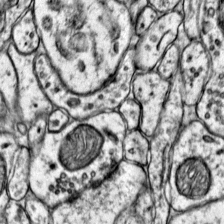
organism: Mouse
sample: Primary visual cortex